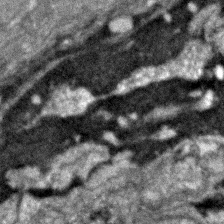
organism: Zebrafish